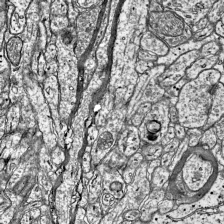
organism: Mouse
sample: Visual Cortex